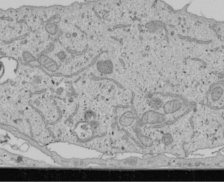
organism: Human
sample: Mitochondria in U2OS cells